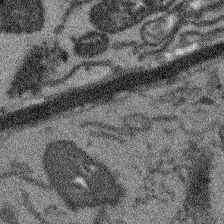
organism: Arabidopsis thaliana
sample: Root tip